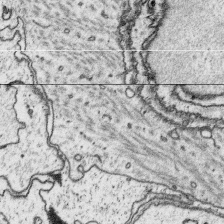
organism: Platynereis dumerilii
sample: Parapodia